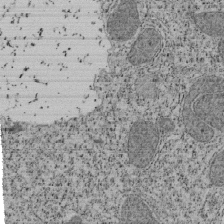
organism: Tetrahymena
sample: Cilia in tetrahymena